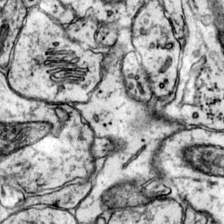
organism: Mouse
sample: Primary visual cortex